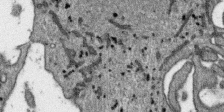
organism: Human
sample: Lung epithelial cells, uninfected (mock) control